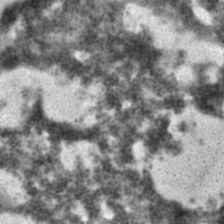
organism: C. elegans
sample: C. elegans embryo